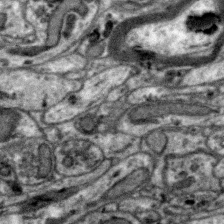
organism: Zebra finch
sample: Brain